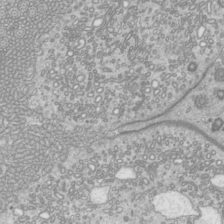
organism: Mouse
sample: Cilia; mouse epididymis